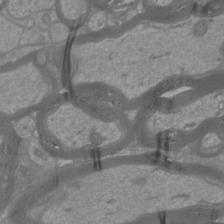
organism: Mouse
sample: Cortical neurons